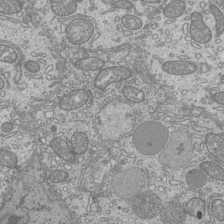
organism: Mouse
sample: Cilia; mouse epididymis